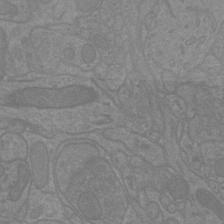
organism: Mouse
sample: Cortical neurons